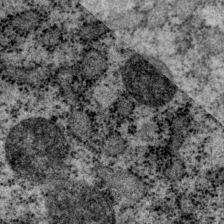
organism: P. pacificus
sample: Pharynx